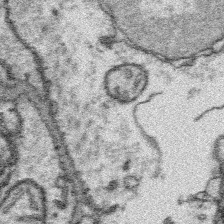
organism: Platynereis dumerilii